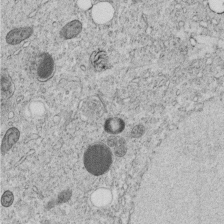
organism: C. elegans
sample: C. elegans embryo early stage